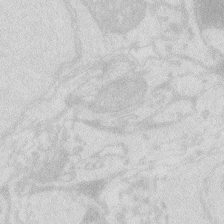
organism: Zebrafish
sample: Macrophage